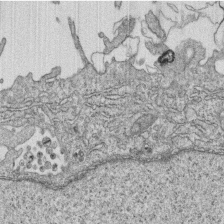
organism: Human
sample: HeLa cell HIV synapse